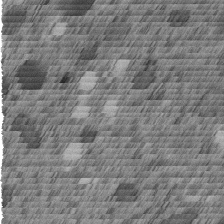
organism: C. elegans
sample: C. elegans embryo early stage